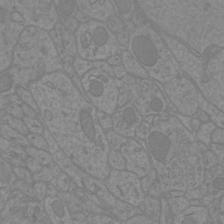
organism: Mouse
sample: Cortical neurons